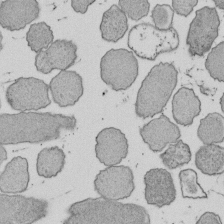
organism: E. coli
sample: Bacterial nucleoid